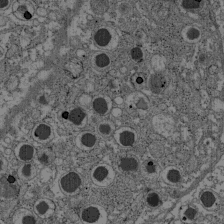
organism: C57BL Mouse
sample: Pancreatic islet